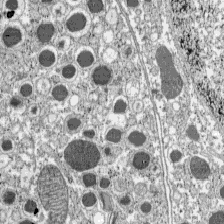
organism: C57BL Mouse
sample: Pancreatic islet